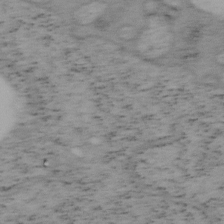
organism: Mouse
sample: OT-I killer T cells with ID8 ovarian cancer cells